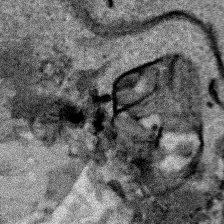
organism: Human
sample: Mitochondria in HCT116 cells